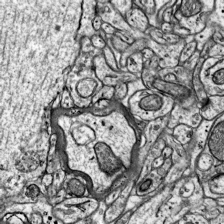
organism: Mouse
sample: Visual Cortex